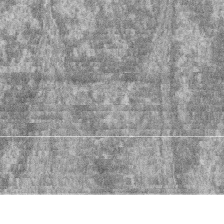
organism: Zebrafish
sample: Cilia; retinal pigment epithelium